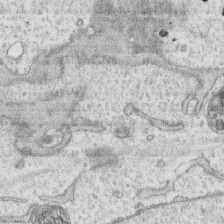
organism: Human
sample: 1205lu cells